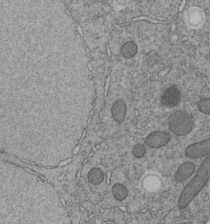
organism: C. elegans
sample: C. elegans embryo early stage